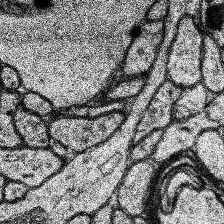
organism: Human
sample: Temporal Lobe